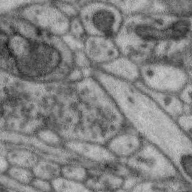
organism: Zebra finch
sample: Brain